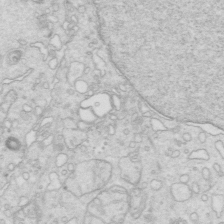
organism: Mouse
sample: Multiciliated cells